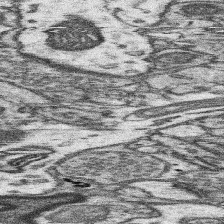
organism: Mouse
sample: Somatosensory cortex neuropil